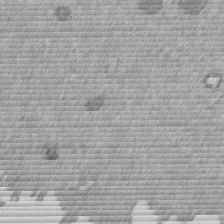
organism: Mouse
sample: Dividing mouse embryo 1 cell stage